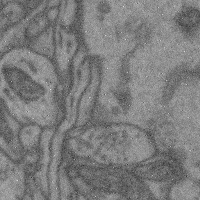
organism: Mouse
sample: Cerebral cortex